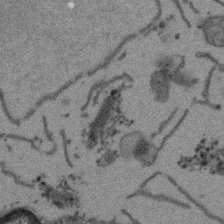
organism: Arabidopsis thaliana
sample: Root tip